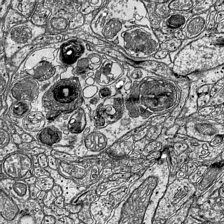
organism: Mouse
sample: Visual Cortex